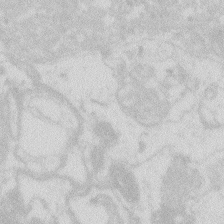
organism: Zebrafish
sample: Macrophage